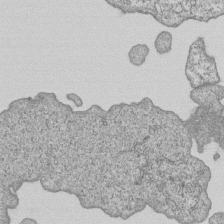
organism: Human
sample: MDA-MB-231 cells